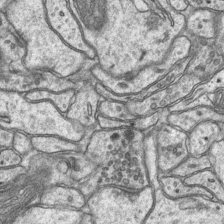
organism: Mouse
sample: CA1 Hippocampus